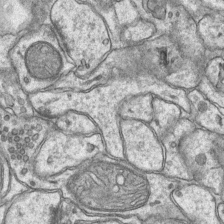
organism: Mouse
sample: CA1 Hippocampus